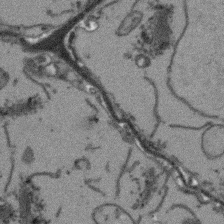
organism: Arabidopsis thaliana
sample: Root tip